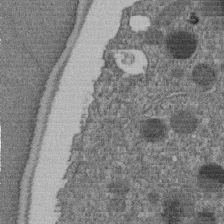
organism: C. elegans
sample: C. elegans embryo early stage